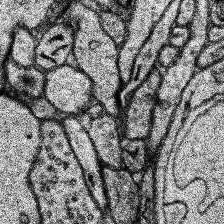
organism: Human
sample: Temporal Lobe